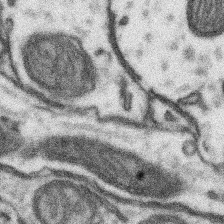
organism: Mouse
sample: Somatosensory cortex neuropil